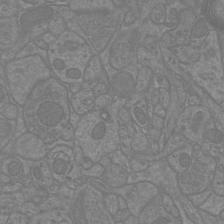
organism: Mouse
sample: Cortical neurons